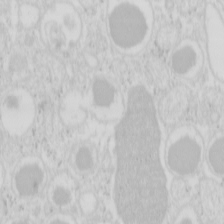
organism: Mouse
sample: Pancreas